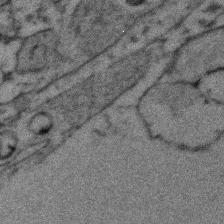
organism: Zebrafish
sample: Zebrafish embryo